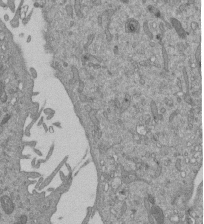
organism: Mouse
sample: ED-1 cell nuclei; centrioles